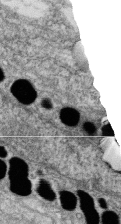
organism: Zebrafish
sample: Cilia; retinal pigment epithelium